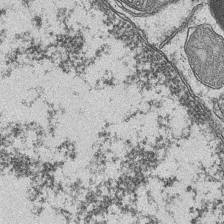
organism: Mouse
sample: CA1 Hippocampus